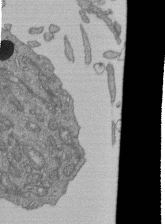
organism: Human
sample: Retinal organoid Rod and Cone cells